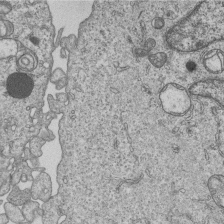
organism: Human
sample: MDA-MB-231 cells